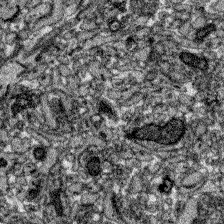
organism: Zebrafish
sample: Larval olfactory bulb